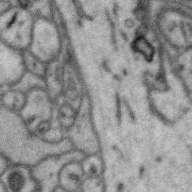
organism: Zebra finch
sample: Brain